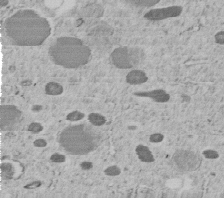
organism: C. elegans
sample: C. elegans embryo early stage